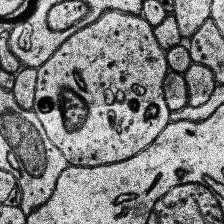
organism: Human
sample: Temporal Lobe